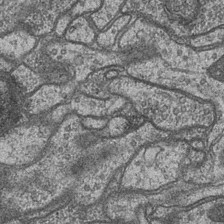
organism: Drosophila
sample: Optic medulla